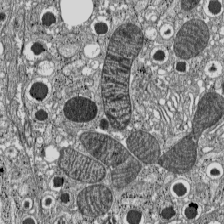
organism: C57BL Mouse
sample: Pancreatic islet